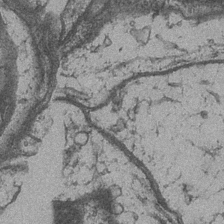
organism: Drosophila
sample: Optic medulla